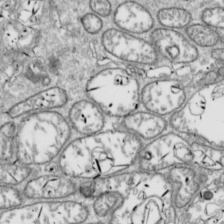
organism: Drosophila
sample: Cell division; meiosis; drosophila spermatocytes